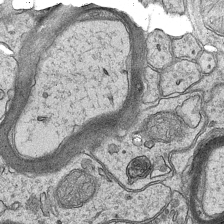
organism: Mouse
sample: CA1 Hippocampus